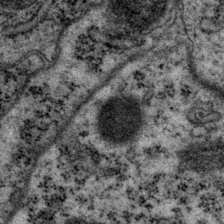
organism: P. pacificus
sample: Pharynx